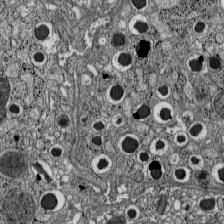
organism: C57BL Mouse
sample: Pancreatic islet